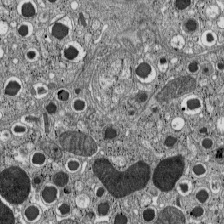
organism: C57BL Mouse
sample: Pancreatic islet